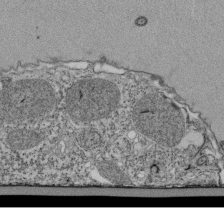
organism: Tetrahymena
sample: Cilia in tetrahymena